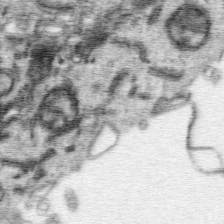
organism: Human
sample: HeLa cells